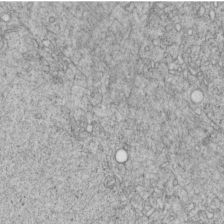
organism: C. elegans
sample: C. elegans embryo early stage